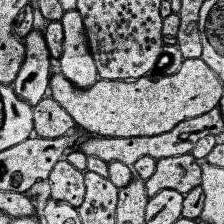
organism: Human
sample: Temporal Lobe